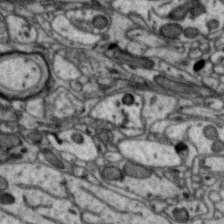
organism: Zebra finch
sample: Brain